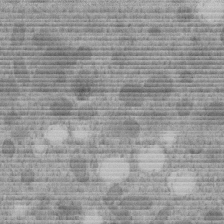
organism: C. elegans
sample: C. elegans embryo early stage